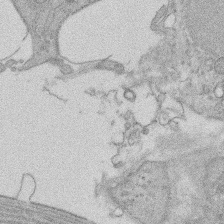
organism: Rat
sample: Salivary granule